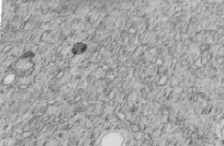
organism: C. elegans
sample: C. elegans embryo early stage